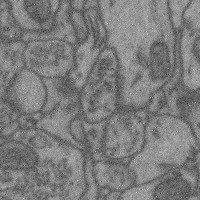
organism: Mouse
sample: Cerebral cortex